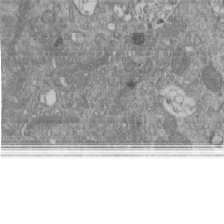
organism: Mouse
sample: ED-1 cell nuclei; centrioles